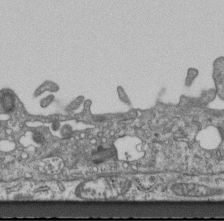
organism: Mouse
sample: Centriole in ependymal cells